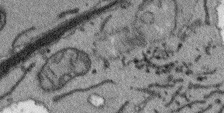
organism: Arabidopsis thaliana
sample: Root tip